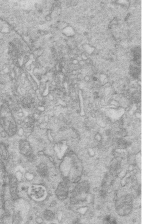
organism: Mouse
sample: Multiciliated cells